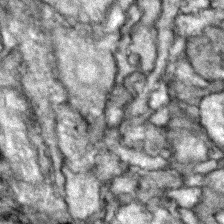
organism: Zebrafish